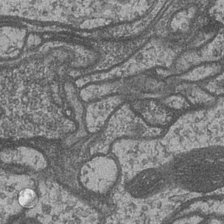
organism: Drosophila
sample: Optic medulla